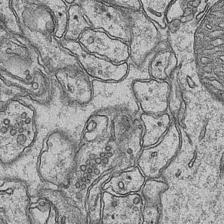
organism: Mouse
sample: CA1 Hippocampus